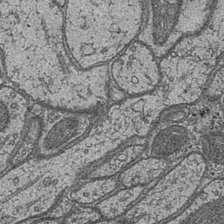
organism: Drosophila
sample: Optic medulla